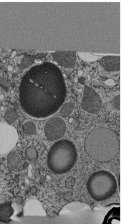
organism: C. elegans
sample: C. elegans pharynx